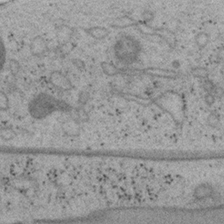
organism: Human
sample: HeLa cells